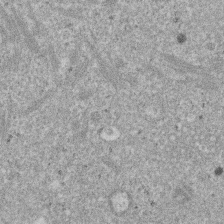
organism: Mouse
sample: Dividing mouse embryo 1 cell stage